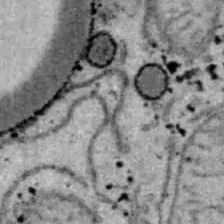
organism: Mouse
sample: Liver from an obese (ob/ob) mouse